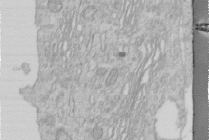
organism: Human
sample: Centriole in RPE cells